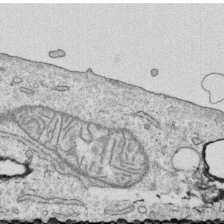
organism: Human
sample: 1205lu cells